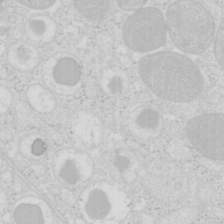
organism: Mouse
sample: Pancreas